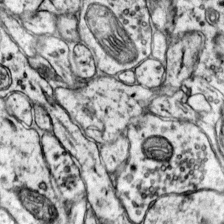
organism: Mouse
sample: Primary visual cortex